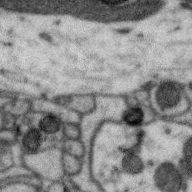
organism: Zebra finch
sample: Brain